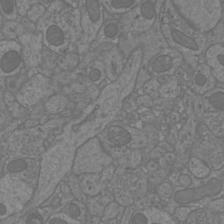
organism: Mouse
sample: Cortical neurons